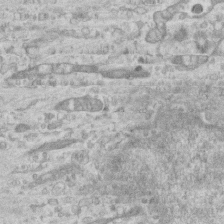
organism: Mouse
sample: Centriole in ependymal cells